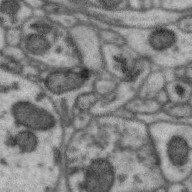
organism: Zebra finch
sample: Brain